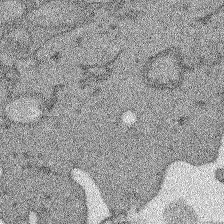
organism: Human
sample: HeLa cells